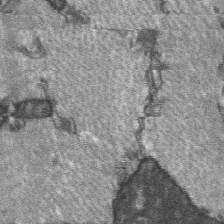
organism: C57BL Mouse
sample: Soleus